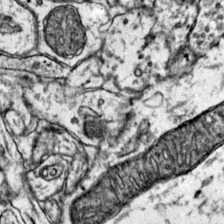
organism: Mouse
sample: Primary visual cortex